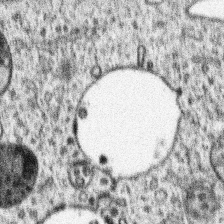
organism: Human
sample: HeLa cells